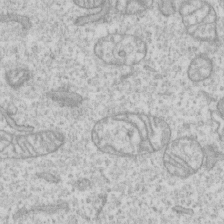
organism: Human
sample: CRL-1474